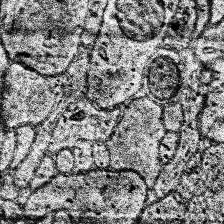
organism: Human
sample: Temporal Lobe